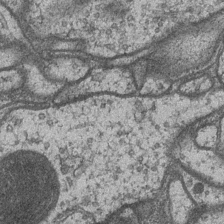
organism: Drosophila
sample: Optic medulla